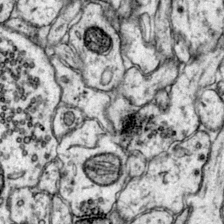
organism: Mouse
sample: Primary visual cortex